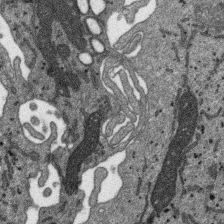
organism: Human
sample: Lung epithelial cells infected with SARS-CoV-2